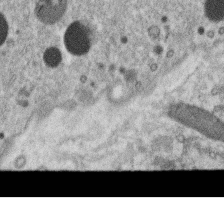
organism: C. elegans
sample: C. elegans oocyte; sperm cells